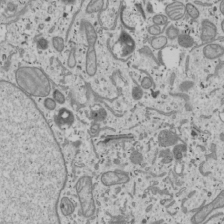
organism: Human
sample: Mitochondria in U2OS cells